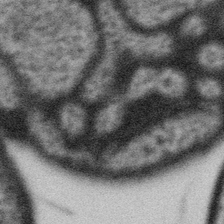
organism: Gemmata obscuriglobus